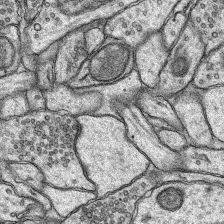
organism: Rat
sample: Hippocampus